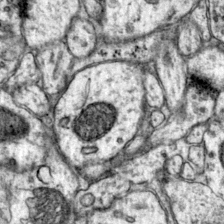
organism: Mouse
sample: Primary visual cortex